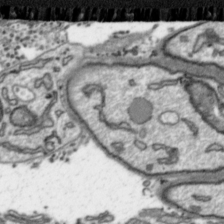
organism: Toxoplasma gondii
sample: Parasites in a vacuole inside a host cell